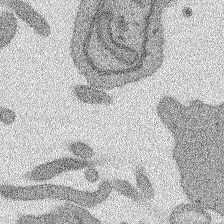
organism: Human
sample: HeLa cells